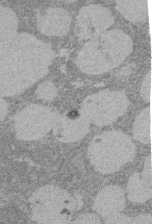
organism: Rat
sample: Salivary granule